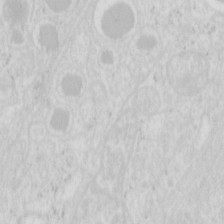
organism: Mouse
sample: Pancreas